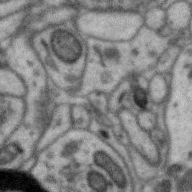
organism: Zebra finch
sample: Brain